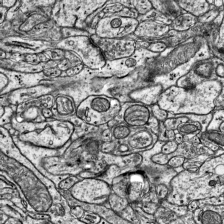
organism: Mouse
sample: Visual Cortex